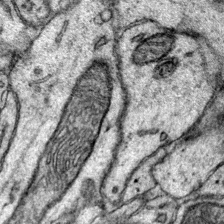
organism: Mouse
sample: Primary visual cortex